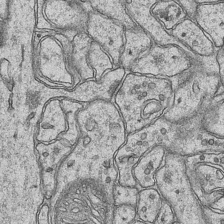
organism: Mouse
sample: CA1 Hippocampus